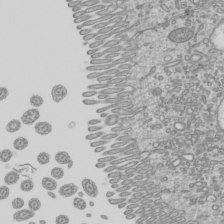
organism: Mouse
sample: Cilia; mouse epididymis